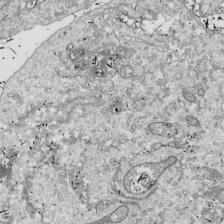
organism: Drosophila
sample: Cell division; meiosis; drosophila spermatocytes